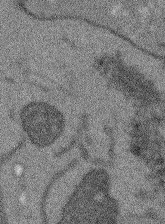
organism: Arabidopsis thaliana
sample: Root tip